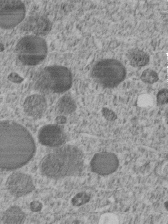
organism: C. elegans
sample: C. elegans embryo early stage